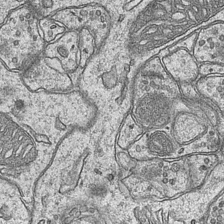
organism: Mouse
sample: CA1 Hippocampus